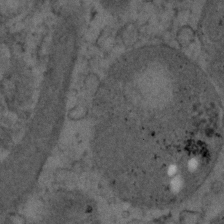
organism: Human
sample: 1205lu cells